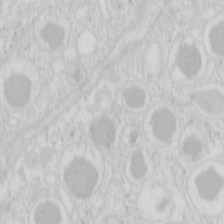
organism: Mouse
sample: Pancreas